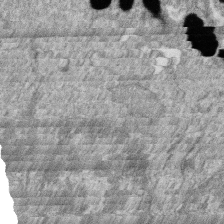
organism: Zebrafish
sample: Cilia; retinal pigment epithelium